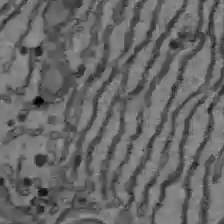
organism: C57BL Mouse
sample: Liver